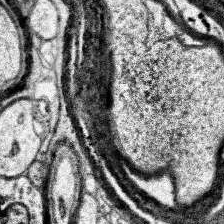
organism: Human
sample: Temporal Lobe